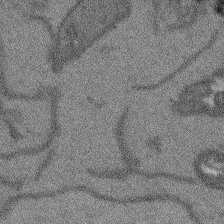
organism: Arabidopsis thaliana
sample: Root tip